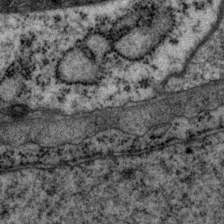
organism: P. pacificus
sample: Pharynx